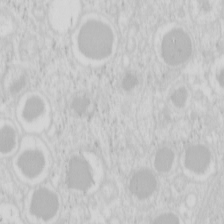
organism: Mouse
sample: Pancreas